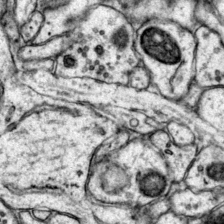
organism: Mouse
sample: Primary visual cortex